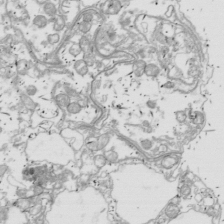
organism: Drosophila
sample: Cell division; meiosis; drosophila spermatocytes